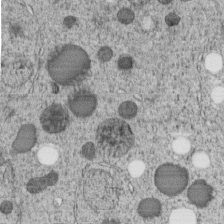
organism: C. elegans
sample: C. elegans embryo early stage